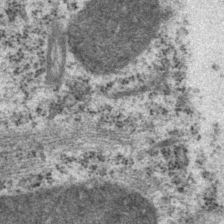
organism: P. pacificus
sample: Pharynx